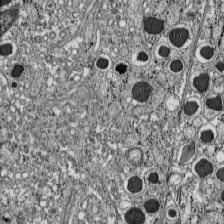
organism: C57BL Mouse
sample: Pancreatic islet